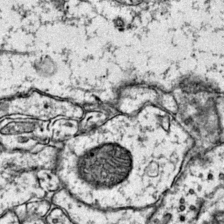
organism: Mouse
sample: Primary visual cortex